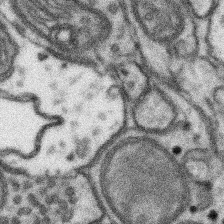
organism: Mouse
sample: Somatosensory cortex neuropil